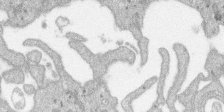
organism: Human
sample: Lung epithelial cells infected with SARS-CoV-2